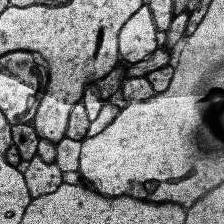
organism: Human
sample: Temporal Lobe